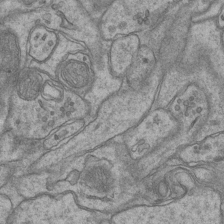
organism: Mouse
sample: CA1 Hippocampus